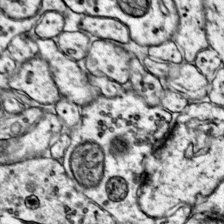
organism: Mouse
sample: Primary visual cortex